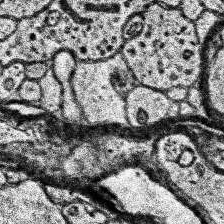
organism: Human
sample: Temporal Lobe